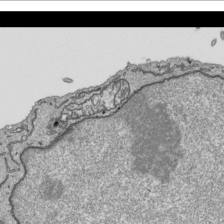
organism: Human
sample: Mitochondria in HCT116 cells